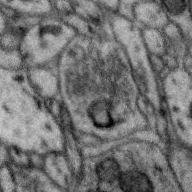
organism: Zebra finch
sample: Brain